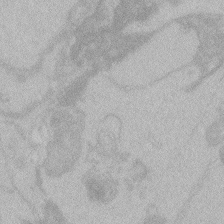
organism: Zebrafish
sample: Macrophage infected with Toxoplasma gondii